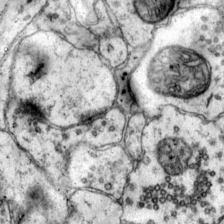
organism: Mouse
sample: Primary visual cortex